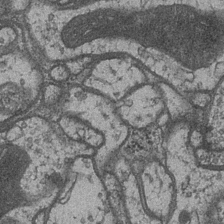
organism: Drosophila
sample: Optic medulla